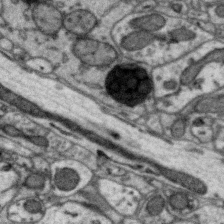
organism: Zebra finch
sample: Brain